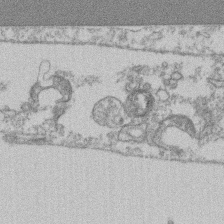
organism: Mouse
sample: T cell stromal cell synapse